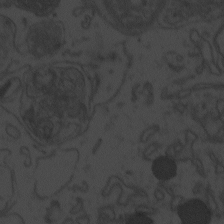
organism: Zebrafish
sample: Macrophage infected with Toxoplasma gondii